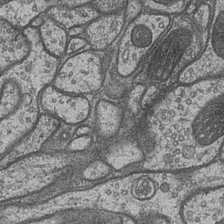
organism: Drosophila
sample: Optic medulla